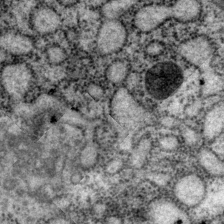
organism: P. pacificus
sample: Pharynx